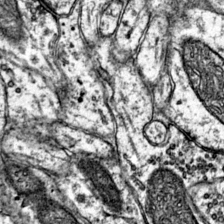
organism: Mouse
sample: Primary visual cortex